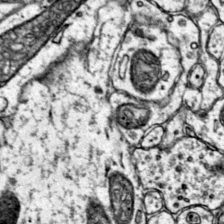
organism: Mouse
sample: Primary visual cortex